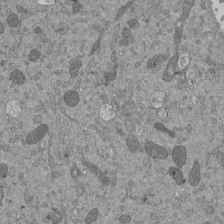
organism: Mouse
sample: ED-1 cell nuclei; centrioles